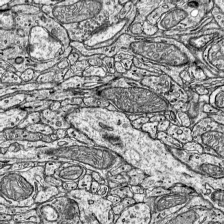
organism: Mouse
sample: Visual Cortex